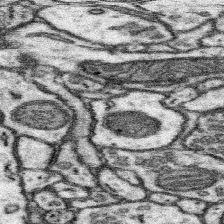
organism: Mouse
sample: Somatosensory cortex neuropil